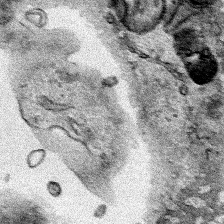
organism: Human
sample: Mitochondria in HCT116 cells